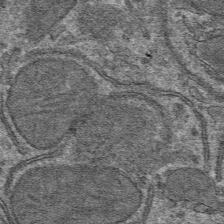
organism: Mouse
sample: Mouse hepatocytes